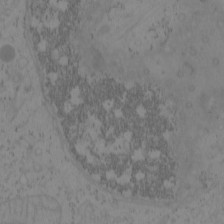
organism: Human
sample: HeLa cells